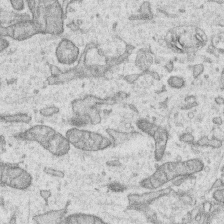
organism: Human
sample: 1205lu cells